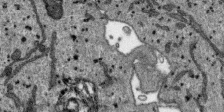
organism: Human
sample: Lung epithelial cells, uninfected (mock) control